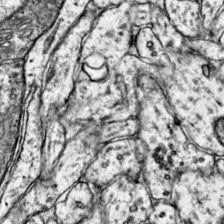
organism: Mouse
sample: Primary visual cortex